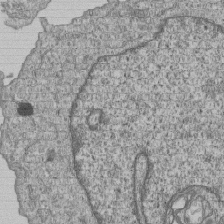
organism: Human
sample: MDA-MB-231 cells